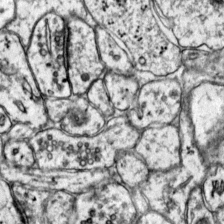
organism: Mouse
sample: Primary visual cortex